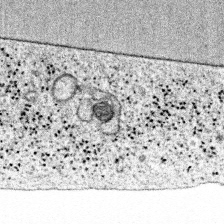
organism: Human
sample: HeLa cells